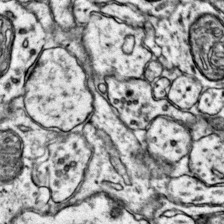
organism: Mouse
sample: Primary visual cortex